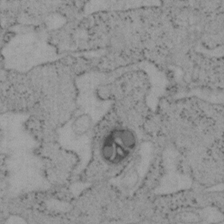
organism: Mouse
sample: OT-I killer T cells with ID8 ovarian cancer cells